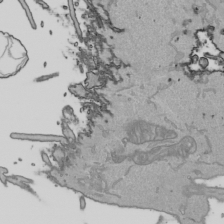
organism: Human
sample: Mitochondria in HCT116 cells